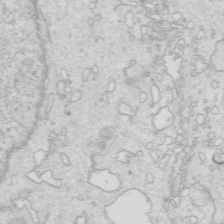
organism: Mouse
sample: Multiciliated cells